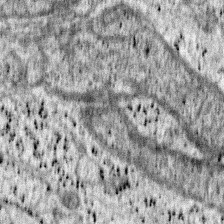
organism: Human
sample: HeLa cells